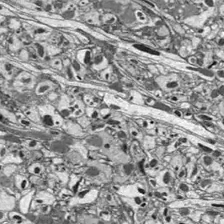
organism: Drosophila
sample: Optic lobe